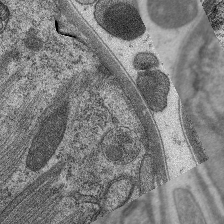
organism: C. elegans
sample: Pharynx